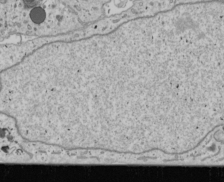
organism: Human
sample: Mitochondria in U2OS cells